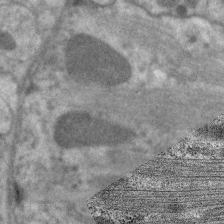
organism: C. elegans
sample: Pharynx